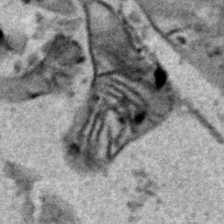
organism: Human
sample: Mitochondria in HCT116 cells